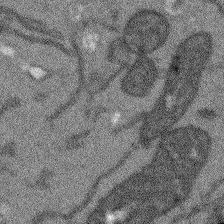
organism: Arabidopsis thaliana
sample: Root tip